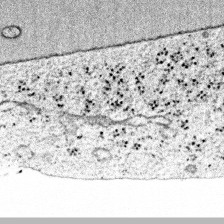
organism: Human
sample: HeLa cells